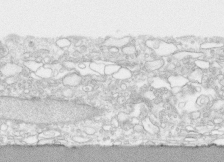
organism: Human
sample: CRL-1474